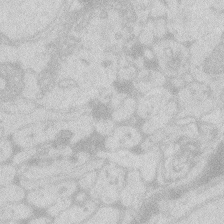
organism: Zebrafish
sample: Macrophage